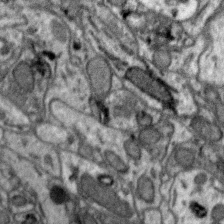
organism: Zebra finch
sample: Brain